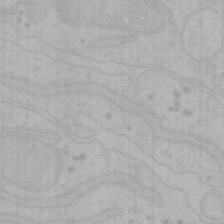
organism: Mouse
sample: Choroid plexus